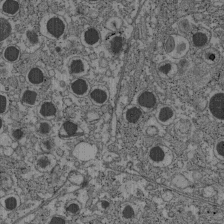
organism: C57BL Mouse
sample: Pancreatic islet